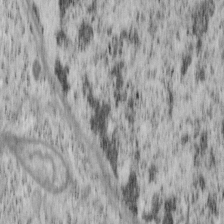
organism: Human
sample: HeLa cells